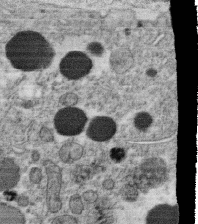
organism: C. elegans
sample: C. elegans oocyte; sperm cells